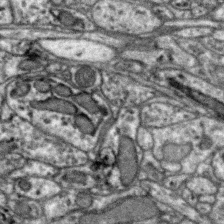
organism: Zebra finch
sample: Brain